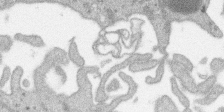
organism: Human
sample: Lung epithelial cells infected with SARS-CoV-2